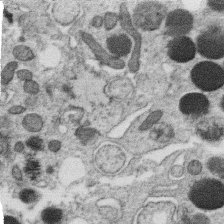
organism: C. elegans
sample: C. elegans oocyte; sperm cells